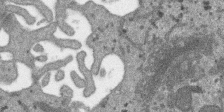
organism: Human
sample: Lung epithelial cells infected with SARS-CoV-2